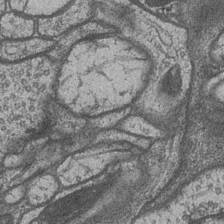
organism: Drosophila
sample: Optic medulla